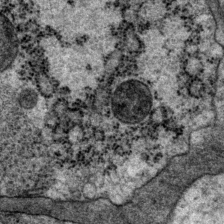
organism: P. pacificus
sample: Pharynx